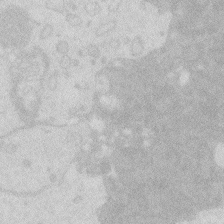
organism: Zebrafish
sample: Macrophage